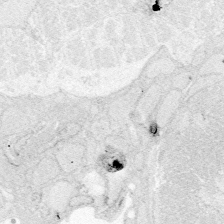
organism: Zebrafish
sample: Whole-Brain